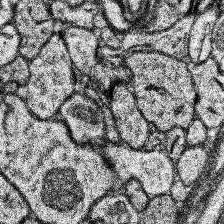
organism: Human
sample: Temporal Lobe